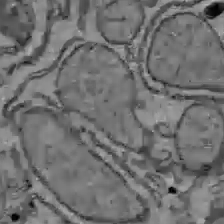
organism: C57BL Mouse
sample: Liver